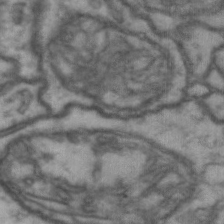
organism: Drosophila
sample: Brain